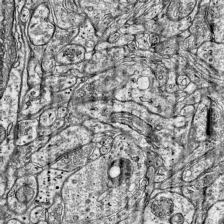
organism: Mouse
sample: Visual Cortex